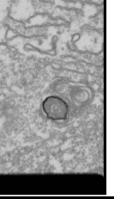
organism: Drosophila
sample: Cell division; meiosis; drosophila spermatocytes